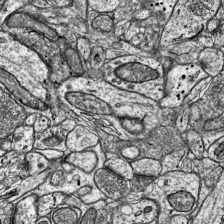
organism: Mouse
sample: Visual Cortex